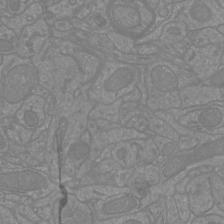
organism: Mouse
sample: Cortical neurons